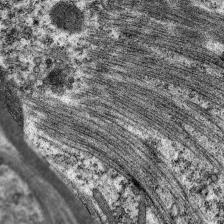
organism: C. elegans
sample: Pharynx